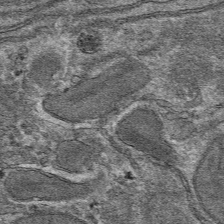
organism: Mouse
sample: Mouse hepatocytes